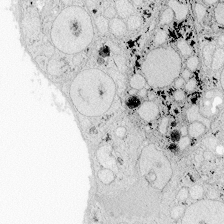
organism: Zebrafish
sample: Whole-Brain